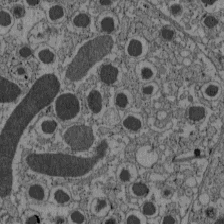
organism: C57BL Mouse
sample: Pancreatic islet